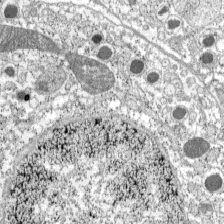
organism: C57BL Mouse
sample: Pancreatic islet